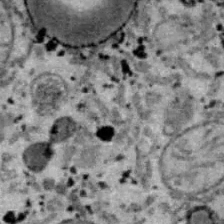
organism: Mouse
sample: Liver from an obese (ob/ob) mouse